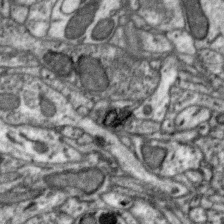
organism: Zebra finch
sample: Brain